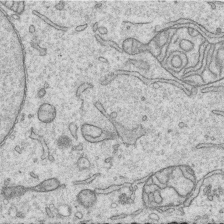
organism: Human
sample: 1205lu cells